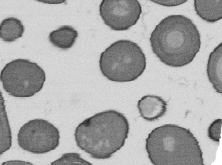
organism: B. subtilis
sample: Bacterial spore